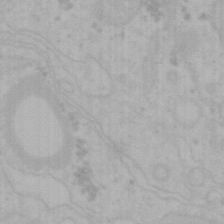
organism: Mouse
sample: Choroid plexus